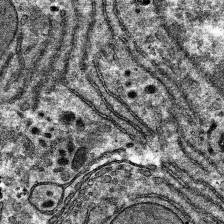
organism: Mouse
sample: Mouse hepatocytes